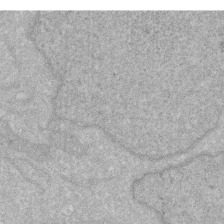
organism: Human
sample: HIV infected U937 cells